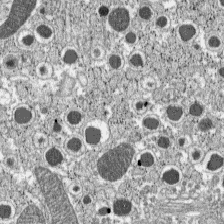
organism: C57BL Mouse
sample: Pancreatic islet